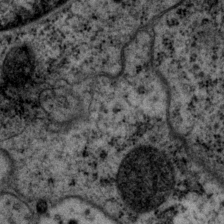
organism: P. pacificus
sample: Pharynx